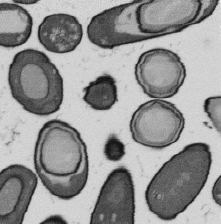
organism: B. subtilis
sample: Bacterial spore